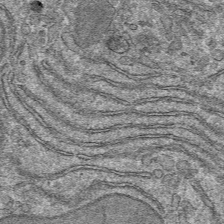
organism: Mouse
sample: Mouse hepatocytes